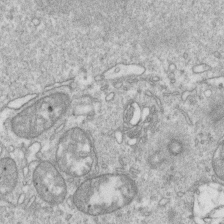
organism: Mouse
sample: Activated OT-1 CD8+ T cells